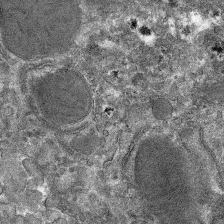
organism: Mouse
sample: Mouse hepatocytes